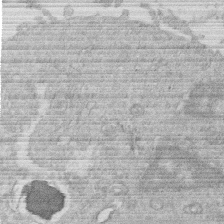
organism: Human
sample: Macrophage cells